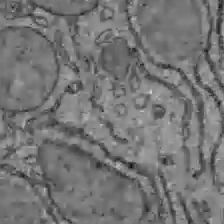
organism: C57BL Mouse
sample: Liver